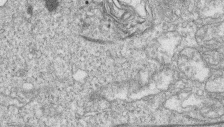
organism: Human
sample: HeLa cell HIV synapse